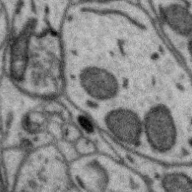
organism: Zebra finch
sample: Brain